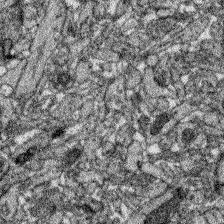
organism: Zebrafish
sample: Larval olfactory bulb